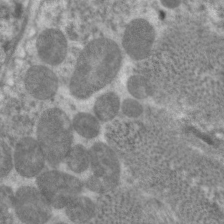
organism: C. elegans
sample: Pharynx